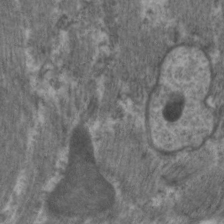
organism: C. elegans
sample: Pharynx